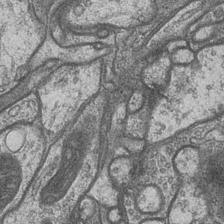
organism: Drosophila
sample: Optic medulla